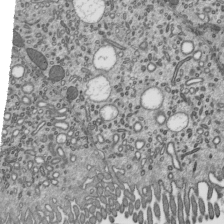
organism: Mouse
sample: Mouse epididymis efferent ductule cilia